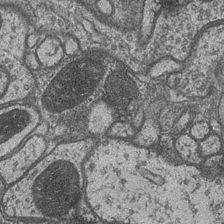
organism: Drosophila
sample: Optic medulla